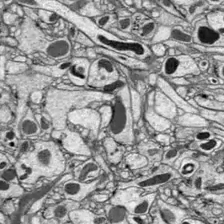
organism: Drosophila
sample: Optic lobe